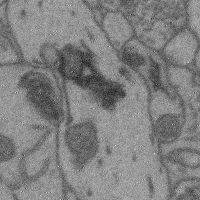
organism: Mouse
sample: Cerebral cortex